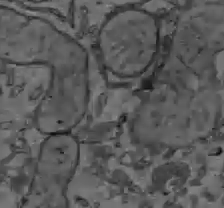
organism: C57BL Mouse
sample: Liver